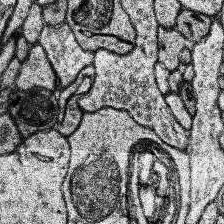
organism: Human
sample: Temporal Lobe